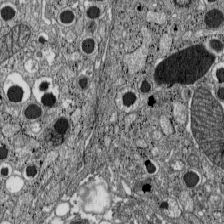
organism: C57BL Mouse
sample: Pancreatic islet